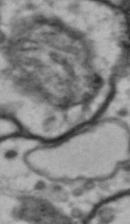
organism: Drosophila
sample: Brain